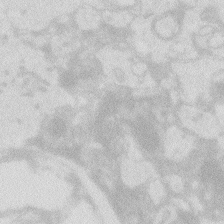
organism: Zebrafish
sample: Macrophage